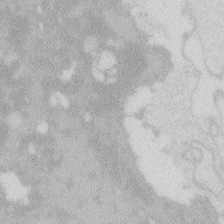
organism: Zebrafish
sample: Macrophage